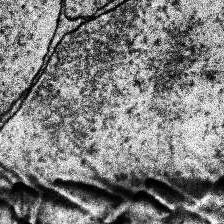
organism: Human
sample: Temporal Lobe